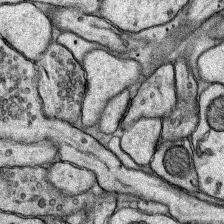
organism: Rat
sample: Hippocampus